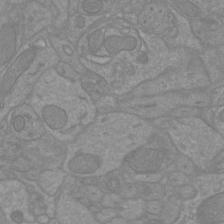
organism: Mouse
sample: Cortical neurons